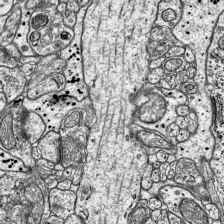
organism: Mouse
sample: Visual Cortex